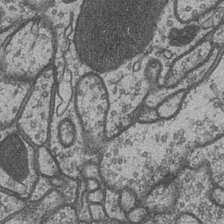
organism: Drosophila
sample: Optic medulla